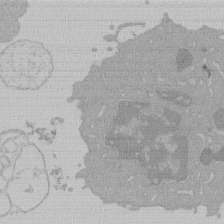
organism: Mouse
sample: Activated Pmel transgenic CD8+ T Cells